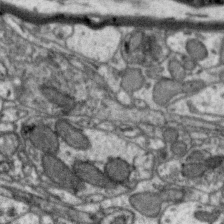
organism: Zebra finch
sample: Brain